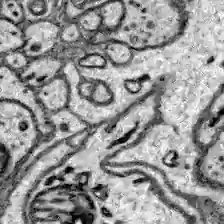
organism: Zebrafish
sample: Brain